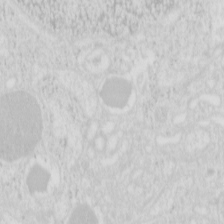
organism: Mouse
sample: Pancreas